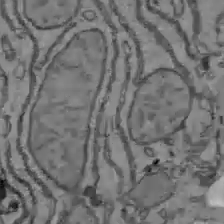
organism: C57BL Mouse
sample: Liver